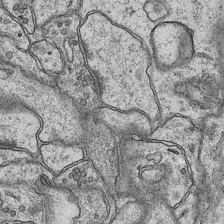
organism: Mouse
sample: CA1 Hippocampus